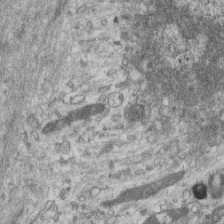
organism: Mouse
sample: Centriole in ependymal cells